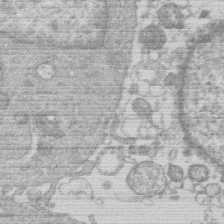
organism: Human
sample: Macrophage cells